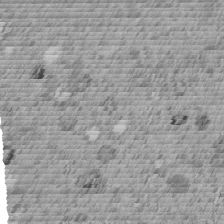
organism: C. elegans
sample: C. elegans embryo early stage